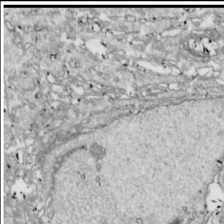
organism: Drosophila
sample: Cell division; meiosis; drosophila spermatocytes